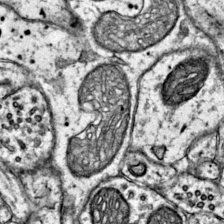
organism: Mouse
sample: Primary visual cortex